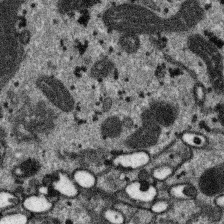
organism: Human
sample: Lung epithelial cells infected with SARS-CoV-2